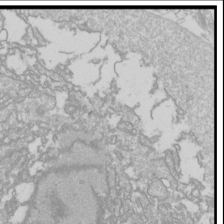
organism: Drosophila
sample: Cell division; meiosis; drosophila spermatocytes